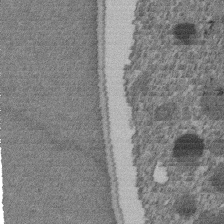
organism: C. elegans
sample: C. elegans embryo early stage